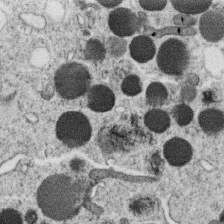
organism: C. elegans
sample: C. elegans oocyte; sperm cells